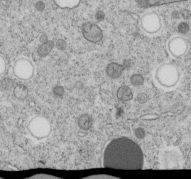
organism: C. elegans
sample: C. elegans embryo early stage